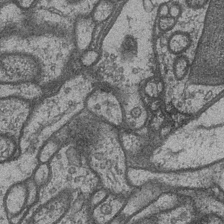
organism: Drosophila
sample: Optic medulla